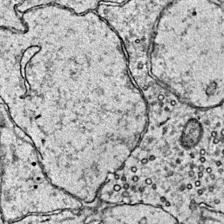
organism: Mouse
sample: Primary visual cortex